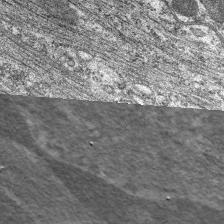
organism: C. elegans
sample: Pharynx